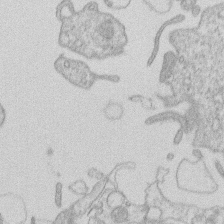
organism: Human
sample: Macrophage cells